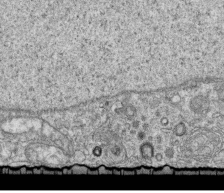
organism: Human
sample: HeLa cell HIV synapse